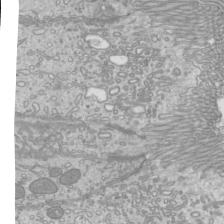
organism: Mouse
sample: Cilia; mouse epididymis